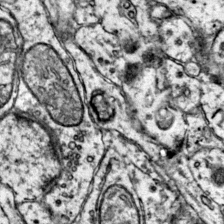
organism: Mouse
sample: Primary visual cortex